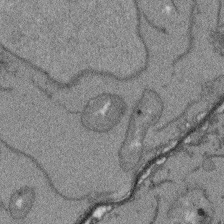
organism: Arabidopsis thaliana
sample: Root tip